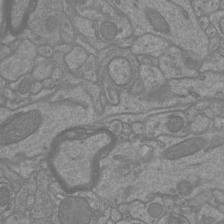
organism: Mouse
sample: Cortical neurons